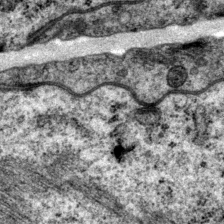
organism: P. pacificus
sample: Pharynx